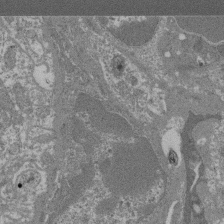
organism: Mouse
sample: Glomerulus